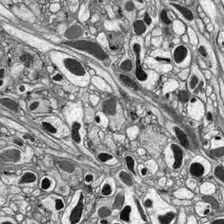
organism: Drosophila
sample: Optic lobe